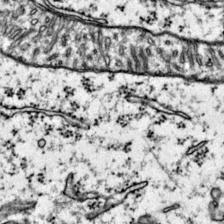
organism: Mouse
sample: Primary visual cortex